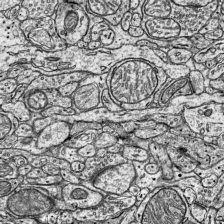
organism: Mouse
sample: Visual Cortex